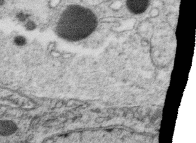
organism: C. elegans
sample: C. elegans oocyte; sperm cells